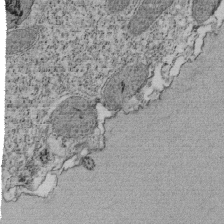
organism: Tetrahymena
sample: Cilia in tetrahymena